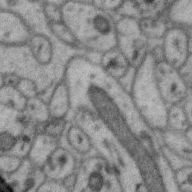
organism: Zebra finch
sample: Brain